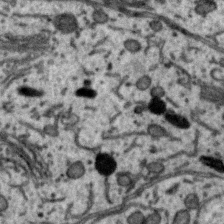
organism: Zebra finch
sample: Brain